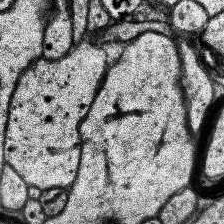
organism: Human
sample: Temporal Lobe